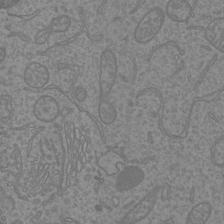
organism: Mouse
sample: Cortical neurons